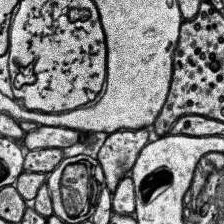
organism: Human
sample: Temporal Lobe